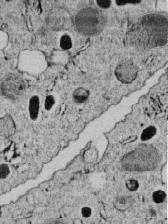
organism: C. elegans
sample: C. elegans embryo early stage